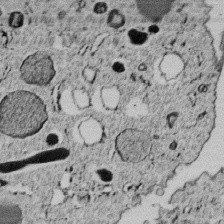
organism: C. elegans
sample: C. elegans embryo early stage